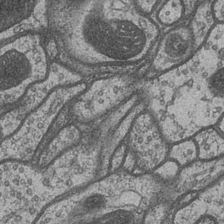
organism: Drosophila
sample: Optic medulla